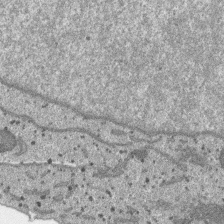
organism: Human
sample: Lung epithelial cells infected with SARS-CoV-2